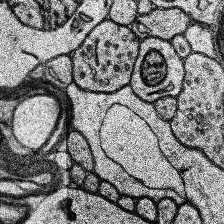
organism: Human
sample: Temporal Lobe